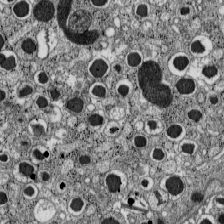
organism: C57BL Mouse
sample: Pancreatic islet